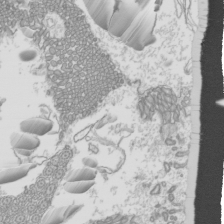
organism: Mouse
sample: Cilia; mouse epididymis